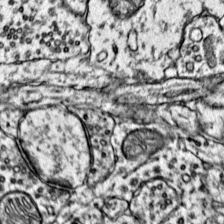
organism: Mouse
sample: Primary visual cortex